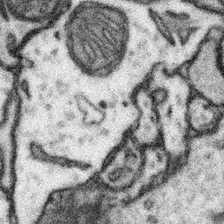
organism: Mouse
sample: Somatosensory cortex neuropil